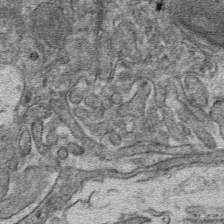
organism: Mouse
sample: Mouse hepatocytes